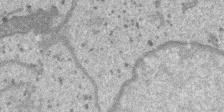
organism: Human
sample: Lung epithelial cells infected with SARS-CoV-2